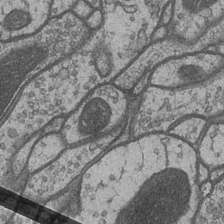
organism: Drosophila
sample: Optic medulla